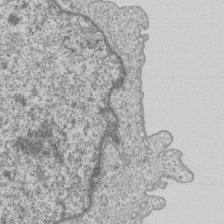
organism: Human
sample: MDA-MB-231 cells